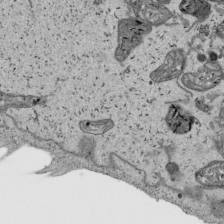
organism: Human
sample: Mitochondria in HCT116 cells